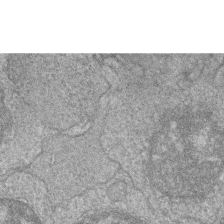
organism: Zebrafish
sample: Cilia; retinal pigment epithelium